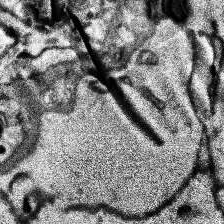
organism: Human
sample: Temporal Lobe